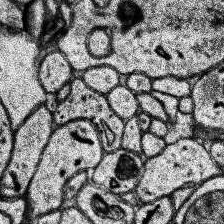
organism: Human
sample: Temporal Lobe